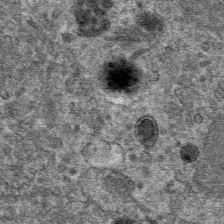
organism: Mouse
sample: Mouse hepatocytes